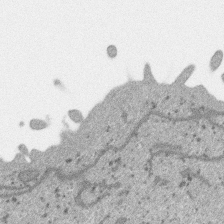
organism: Human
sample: Lung epithelial cells infected with SARS-CoV-2